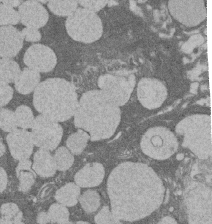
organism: Rat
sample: Salivary granule